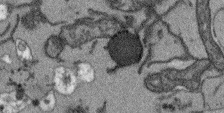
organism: Arabidopsis thaliana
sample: Root tip